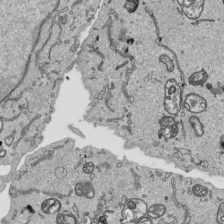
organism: Human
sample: Mitochondria in HCT116 cells